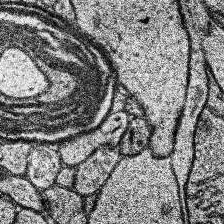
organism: Human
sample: Temporal Lobe